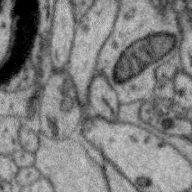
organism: Zebra finch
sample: Brain